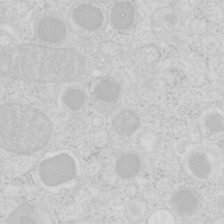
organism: Mouse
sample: Pancreas